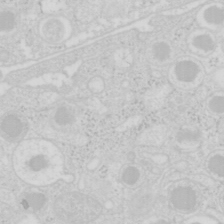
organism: Mouse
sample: Pancreas